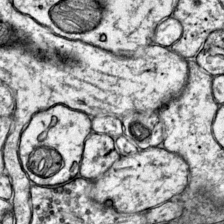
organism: Mouse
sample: Primary visual cortex